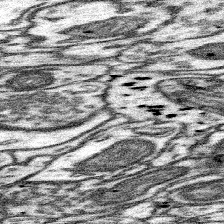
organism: Mouse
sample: Somatosensory cortex neuropil